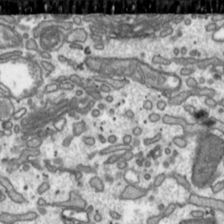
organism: Toxoplasma gondii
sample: Parasites in a vacuole inside a host cell